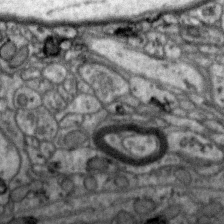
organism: Zebra finch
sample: Brain